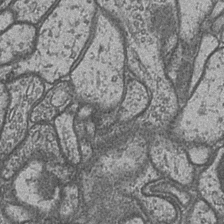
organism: Drosophila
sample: Optic medulla